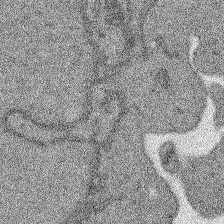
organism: Human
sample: HeLa cells